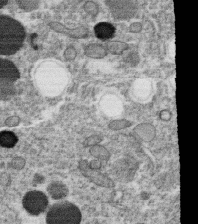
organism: C. elegans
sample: C. elegans oocyte; sperm cells